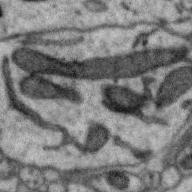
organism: Zebra finch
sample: Brain